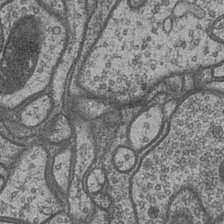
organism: Drosophila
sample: Optic medulla